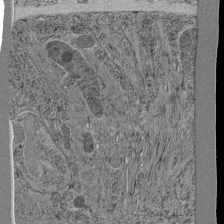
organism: C. elegans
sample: C. elegans pharynx